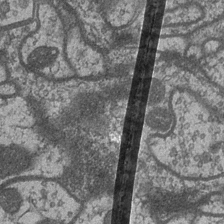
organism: Drosophila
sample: Optic medulla